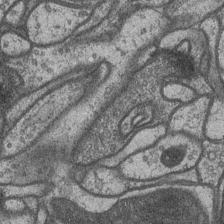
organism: Drosophila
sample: Optic medulla